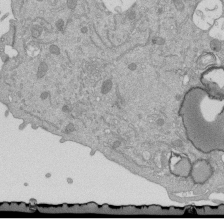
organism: Mouse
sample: ED-1 cell nuclei; centrioles